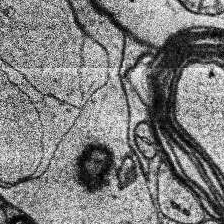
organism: Human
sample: Temporal Lobe